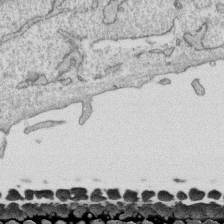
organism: Human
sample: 1205lu cells